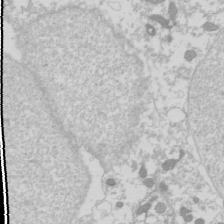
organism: Drosophila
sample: Cell division; meiosis; drosophila spermatocytes